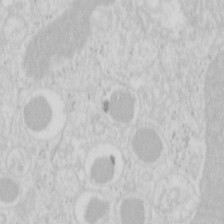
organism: Mouse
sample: Pancreas